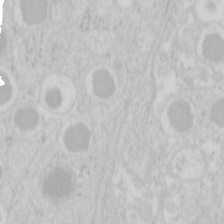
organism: Mouse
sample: Pancreas